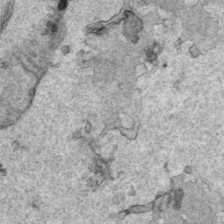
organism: Human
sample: Mitochondria in HCT116 cells